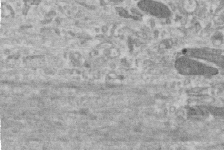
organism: Human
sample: Centriole in RPE cells